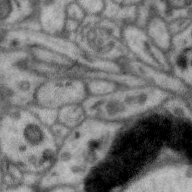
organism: Zebra finch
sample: Brain